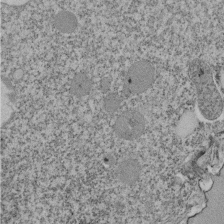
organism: Tetrahymena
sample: Cilia in tetrahymena